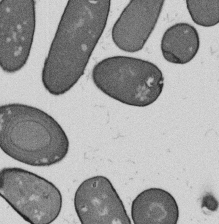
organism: B. subtilis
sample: Bacterial spore